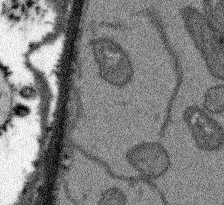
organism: Arabidopsis thaliana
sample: Root tip